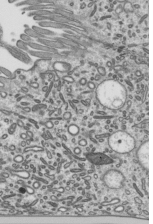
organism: Mouse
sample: Mouse epididymis efferent ductule cilia